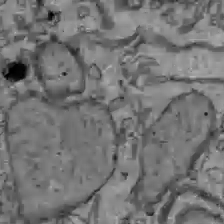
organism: C57BL Mouse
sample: Liver